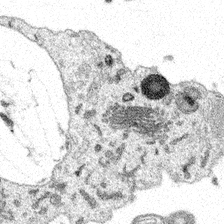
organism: Spongilla lacustris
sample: Multiple